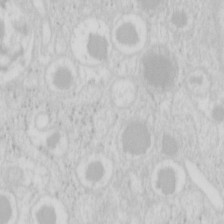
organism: Mouse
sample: Pancreas